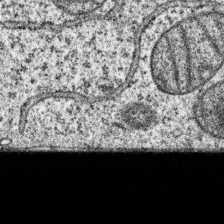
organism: Human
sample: HeLa cells